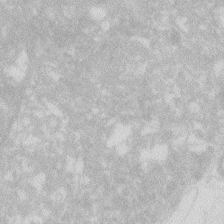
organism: Zebrafish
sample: Macrophage